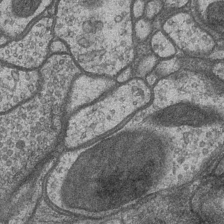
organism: Drosophila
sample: Optic medulla